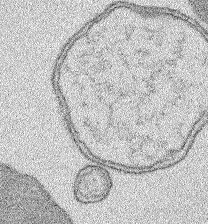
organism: Human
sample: HeLa cells